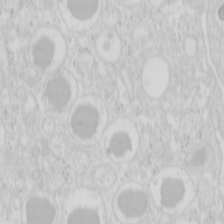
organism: Mouse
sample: Pancreas